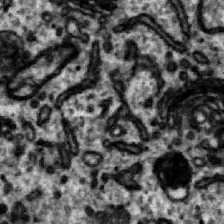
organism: Human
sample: HeLa cells